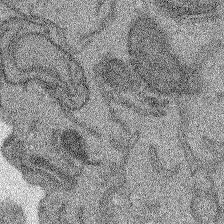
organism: Human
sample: HeLa cells